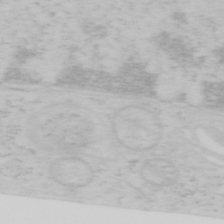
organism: Mouse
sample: OT-I killer T cells with ID8 ovarian cancer cells